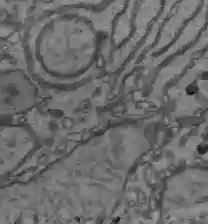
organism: C57BL Mouse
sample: Liver